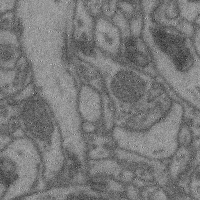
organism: Mouse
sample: Cerebral cortex